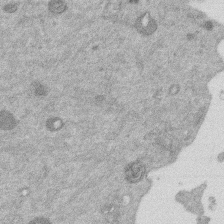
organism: Mouse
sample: Dividing mouse embryo 1 cell stage